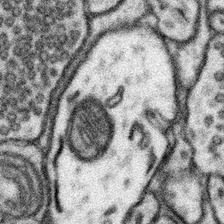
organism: Mouse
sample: Somatosensory cortex neuropil